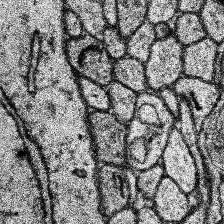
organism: Human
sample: Temporal Lobe